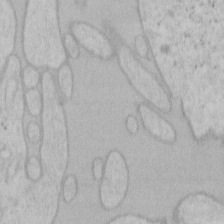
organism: Human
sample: HeLa cells